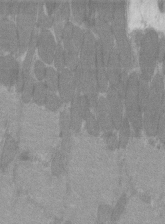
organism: C57BL Mouse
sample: Tibialis anterior muscle cell